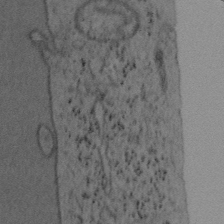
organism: Human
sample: HeLa cells